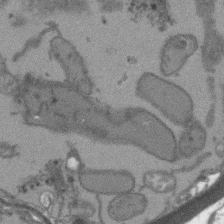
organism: Arabidopsis thaliana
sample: Root tip